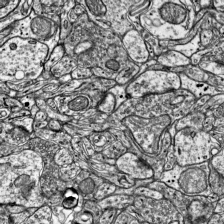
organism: Mouse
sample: Visual Cortex